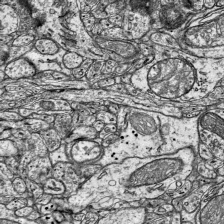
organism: Mouse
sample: Visual Cortex